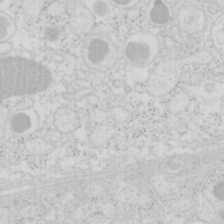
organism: Mouse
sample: Pancreas